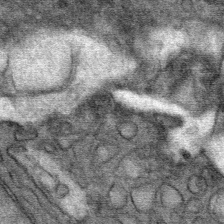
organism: Mouse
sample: Mouse Salivary gland